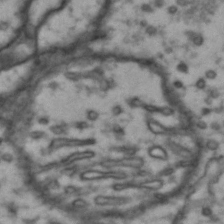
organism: Drosophila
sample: Brain